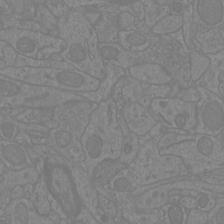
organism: Mouse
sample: Cortical neurons